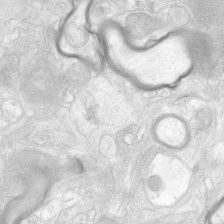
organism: Human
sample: Neocortex